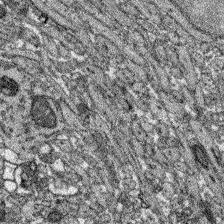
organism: Zebrafish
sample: Larval olfactory bulb